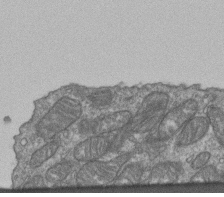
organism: Human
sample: Retinal organoid Rod and Cone cells